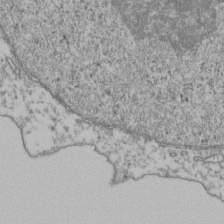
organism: Human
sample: Activated Jurkat CD4+ T cells